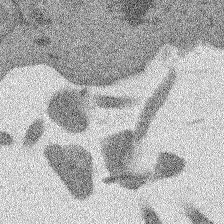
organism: Human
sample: HeLa cells